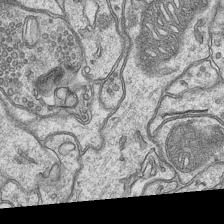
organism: Mouse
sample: CA1 Hippocampus